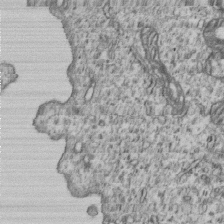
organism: Human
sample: MDA-MB-231 cells